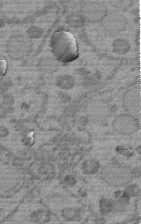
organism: C. elegans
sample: C. elegans embryo early stage